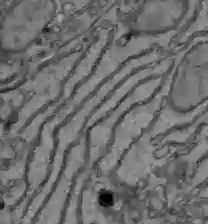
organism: C57BL Mouse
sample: Liver